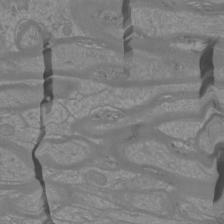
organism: Mouse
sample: Cortical neurons